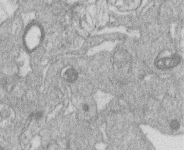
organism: Human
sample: Macrophage cells